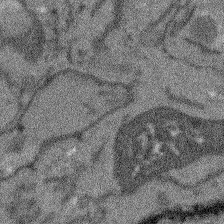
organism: Arabidopsis thaliana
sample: Root tip